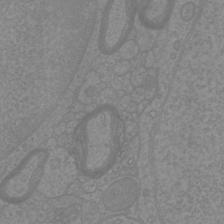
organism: Mouse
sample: Cortical neurons